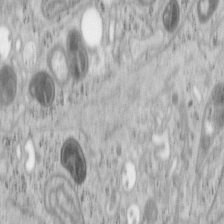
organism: Human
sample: HeLa cells